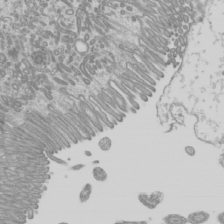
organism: Mouse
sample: Cilia; mouse epididymis